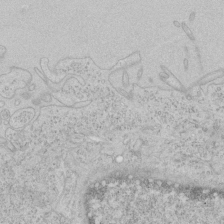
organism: Human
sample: Mitochondria in HCT116 cells